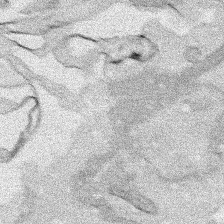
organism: Human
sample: Mitochondria in HCT116 cells